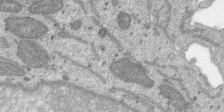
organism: Human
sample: Lung epithelial cells infected with SARS-CoV-2